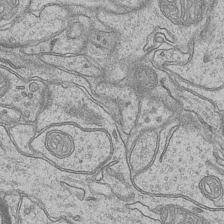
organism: Mouse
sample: CA1 Hippocampus